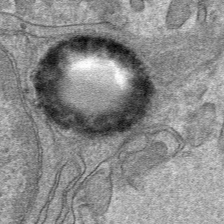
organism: Mouse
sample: Mouse hepatocytes